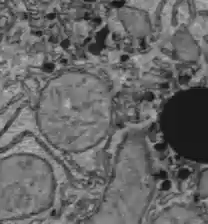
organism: C57BL Mouse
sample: Liver